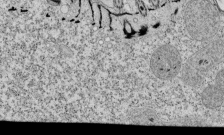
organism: Tetrahymena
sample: Cilia in tetrahymena